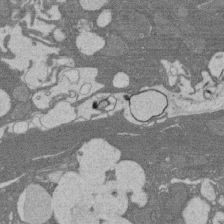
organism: Rat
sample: Salivary granule